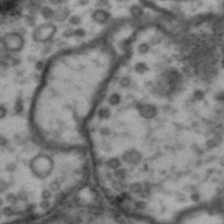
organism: Drosophila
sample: Brain